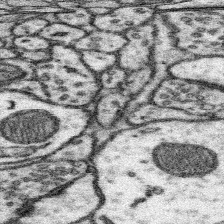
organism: Mouse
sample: Somatosensory cortex neuropil